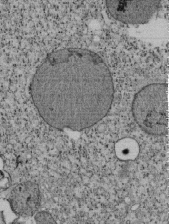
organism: Tetrahymena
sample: Cilia in tetrahymena